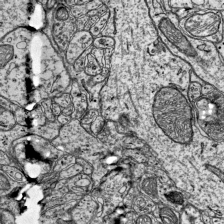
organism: Mouse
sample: Visual Cortex